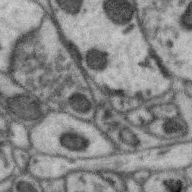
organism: Zebra finch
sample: Brain